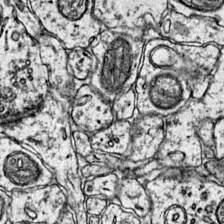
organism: Mouse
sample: Primary visual cortex